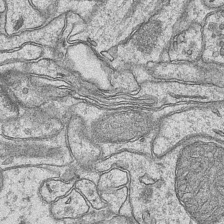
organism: Mouse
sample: CA1 Hippocampus